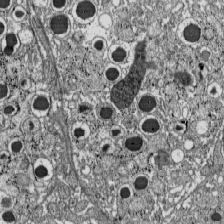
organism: C57BL Mouse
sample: Pancreatic islet